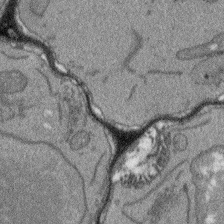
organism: Arabidopsis thaliana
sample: Root tip